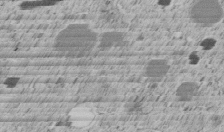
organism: C. elegans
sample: C. elegans embryo early stage